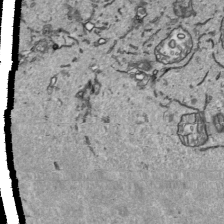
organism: Human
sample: Mitochondria in HCT116 cells